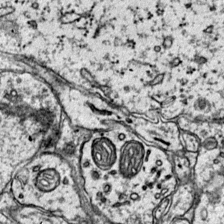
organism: Mouse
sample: Primary visual cortex